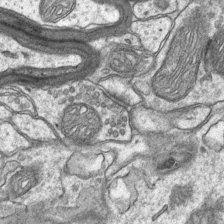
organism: Mouse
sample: CA1 Hippocampus